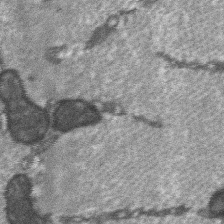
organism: C57BL Mouse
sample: Soleus